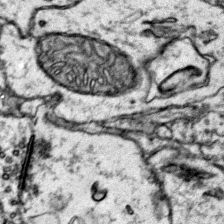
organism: Mouse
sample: Primary visual cortex